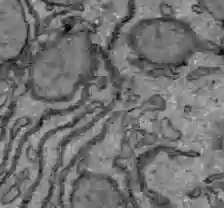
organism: C57BL Mouse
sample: Liver